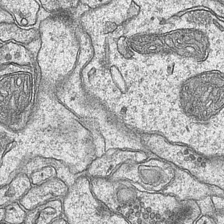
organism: Mouse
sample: CA1 Hippocampus